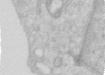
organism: Human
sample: Centriole in RPE cells